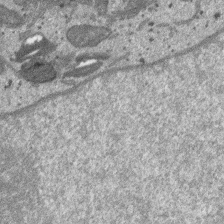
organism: Human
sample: Lung epithelial cells infected with SARS-CoV-2